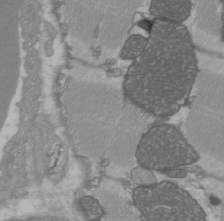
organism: C57BL Mouse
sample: Heart